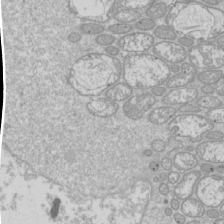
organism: Drosophila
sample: Cell division; meiosis; drosophila spermatocytes